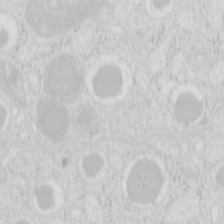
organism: Mouse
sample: Pancreas